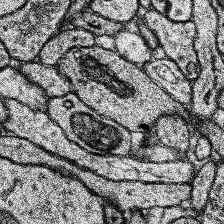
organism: Human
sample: Temporal Lobe